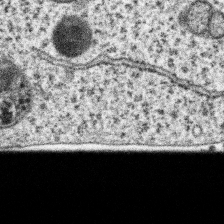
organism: Human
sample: HeLa cells